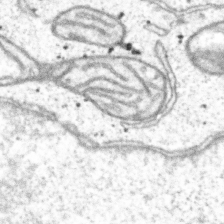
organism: Human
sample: HeLa cells